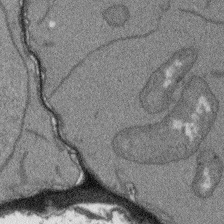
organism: Arabidopsis thaliana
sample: Root tip